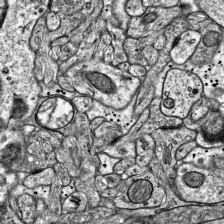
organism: Mouse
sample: Visual Cortex